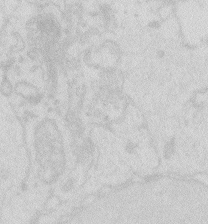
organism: Zebrafish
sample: Macrophage